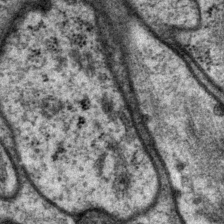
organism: P. pacificus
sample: Pharynx